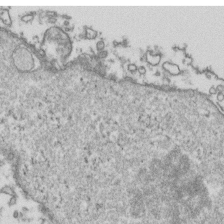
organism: Human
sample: Activated Jurkat CD4+ T cells